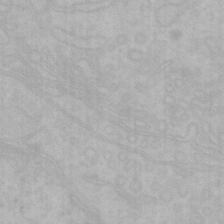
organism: Mouse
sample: Choroid plexus